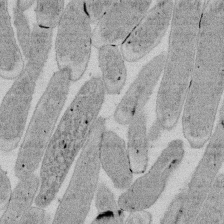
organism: E. coli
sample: Bacterial nucleoid